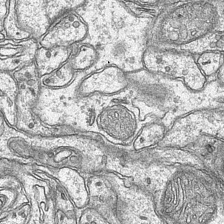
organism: Mouse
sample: CA1 Hippocampus